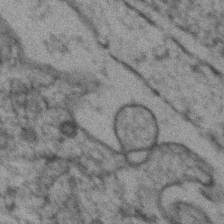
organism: Zebrafish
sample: Zebrafish embryo